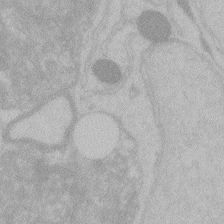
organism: Zebrafish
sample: Macrophage infected with Toxoplasma gondii